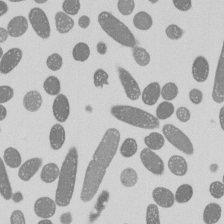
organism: E. coli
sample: Bacterial nucleoid